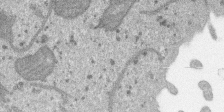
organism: Human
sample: Lung epithelial cells infected with SARS-CoV-2